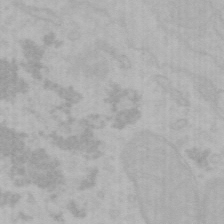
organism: Mouse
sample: Choroid plexus